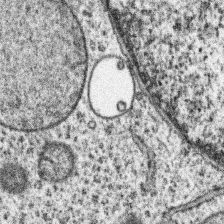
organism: Human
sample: HeLa cells